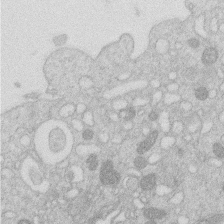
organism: Human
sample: Macrophage cells